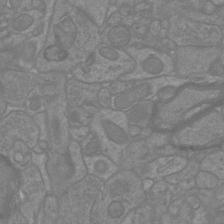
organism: Mouse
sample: Cortical neurons